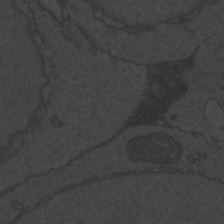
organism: Zebrafish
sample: Macrophage infected with Toxoplasma gondii